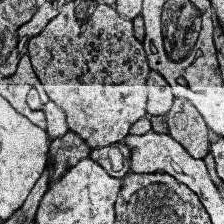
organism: Human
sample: Temporal Lobe